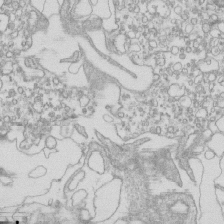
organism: Mouse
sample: Macrophages